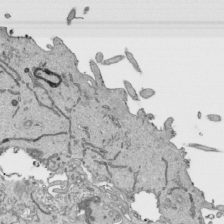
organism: Human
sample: Mitochondria in HCT116 cells